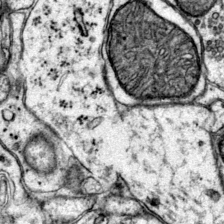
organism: Mouse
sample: Primary visual cortex